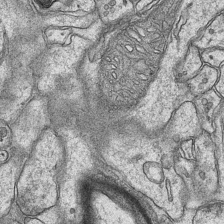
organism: Mouse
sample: CA1 Hippocampus